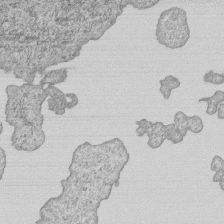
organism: Human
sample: MDA-MB-231 cells